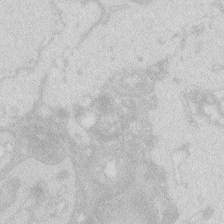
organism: Zebrafish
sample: Macrophage